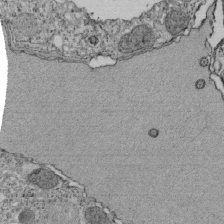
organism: Tetrahymena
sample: Cilia in tetrahymena